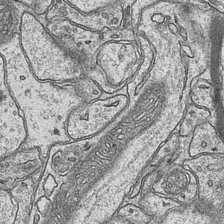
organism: Mouse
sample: CA1 Hippocampus